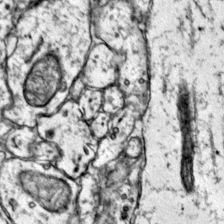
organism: Mouse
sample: Primary visual cortex